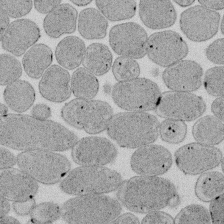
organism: E. coli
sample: Bacterial nucleoid